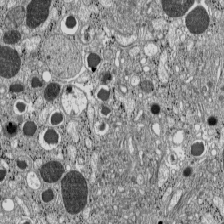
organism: C57BL Mouse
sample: Pancreatic islet